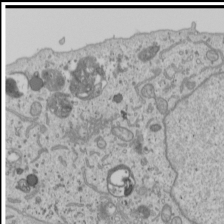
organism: Human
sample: Mitochondria in U2OS cells